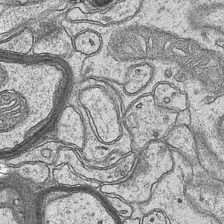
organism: Mouse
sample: CA1 Hippocampus